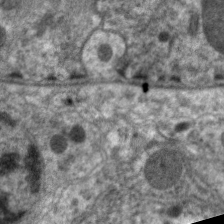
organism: C. elegans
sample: Pharynx